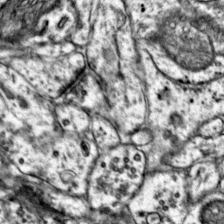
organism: Mouse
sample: Primary visual cortex